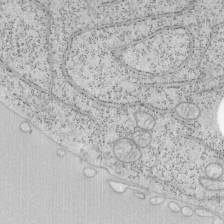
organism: Mouse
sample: OT-I killer T cells with ID8 ovarian cancer cells